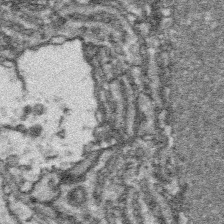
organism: Platynereis dumerilii